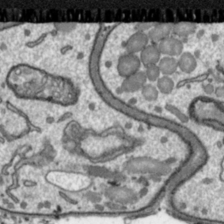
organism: Toxoplasma gondii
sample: Parasites in a vacuole inside a host cell